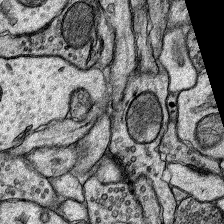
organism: Rat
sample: Hippocampus